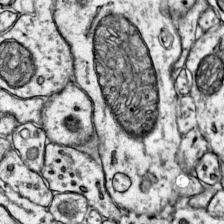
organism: Mouse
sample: Primary visual cortex